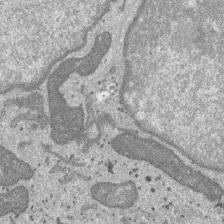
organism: Human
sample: Lung epithelial cells infected with SARS-CoV-2